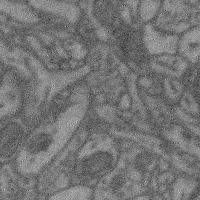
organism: Mouse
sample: Cerebral cortex